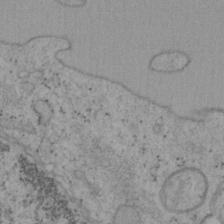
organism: Human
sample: HeLa cells